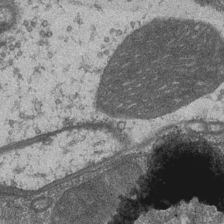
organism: Drosophila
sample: Optic medulla